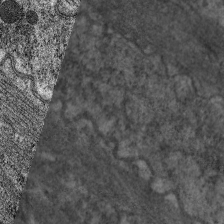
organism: C. elegans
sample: Pharynx